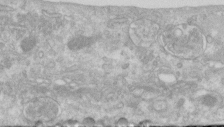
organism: Human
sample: Centriole in RPE cells